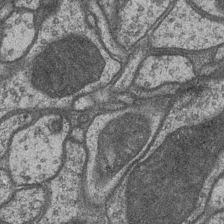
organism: Drosophila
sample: Optic medulla